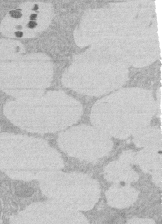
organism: Rat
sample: Salivary granule